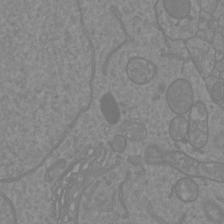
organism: Mouse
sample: Cortical neurons